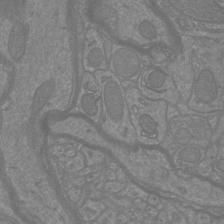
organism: Mouse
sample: Cortical neurons